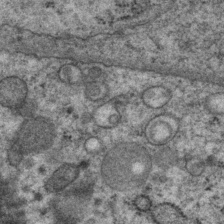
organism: P. pacificus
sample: Pharynx